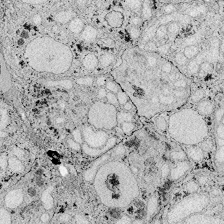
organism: Zebrafish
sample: Whole-Brain